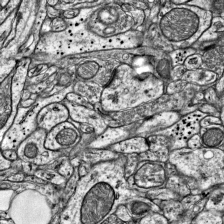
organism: Mouse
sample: Visual Cortex